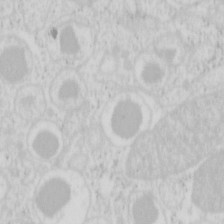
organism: Mouse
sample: Pancreas